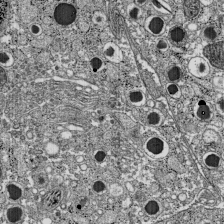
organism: C57BL Mouse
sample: Pancreatic islet